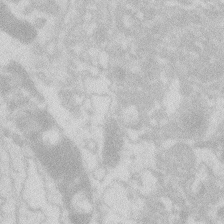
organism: Zebrafish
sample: Macrophage